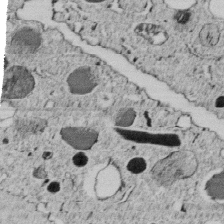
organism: C. elegans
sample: C. elegans embryo early stage